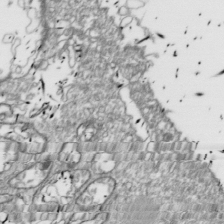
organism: Drosophila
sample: Cell division; meiosis; drosophila spermatocytes